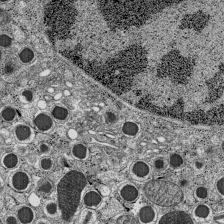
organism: C57BL Mouse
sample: Pancreatic islet